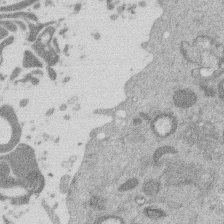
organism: Mouse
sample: Dividing mouse embryo 1 cell stage